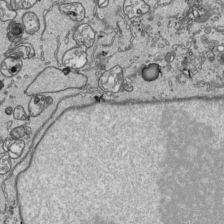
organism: Human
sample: Mitochondria in HCT116 cells